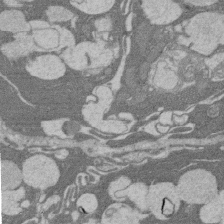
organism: Rat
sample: Salivary granule